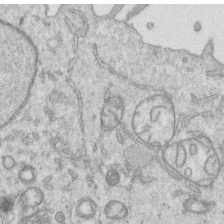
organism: Human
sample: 1205lu cells